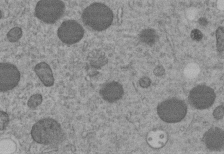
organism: C. elegans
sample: C. elegans embryo early stage